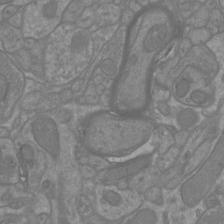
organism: Mouse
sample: Cortical neurons